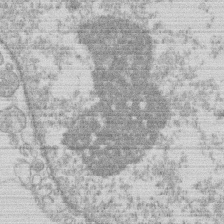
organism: Human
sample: Macrophage cells